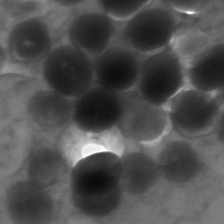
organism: Zebrafish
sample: Zebrafish embryo